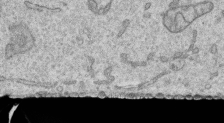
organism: Human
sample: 1205lu cells